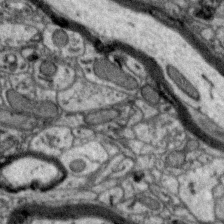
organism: Zebra finch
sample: Brain